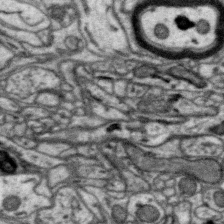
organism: Zebra finch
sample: Brain